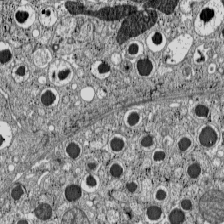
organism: C57BL Mouse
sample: Pancreatic islet